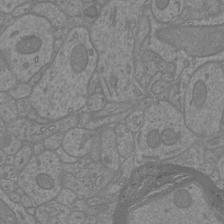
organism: Mouse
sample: Cortical neurons